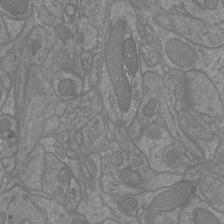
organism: Mouse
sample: Cortical neurons